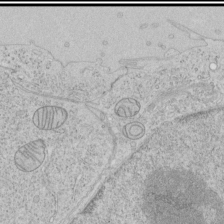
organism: Human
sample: Mitochondria in HCT116 cells